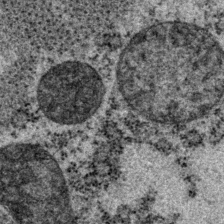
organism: P. pacificus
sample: Pharynx